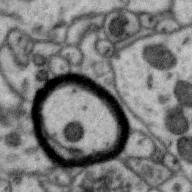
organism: Zebra finch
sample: Brain